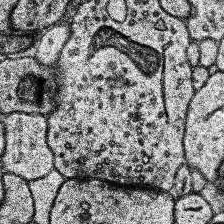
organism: Human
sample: Temporal Lobe